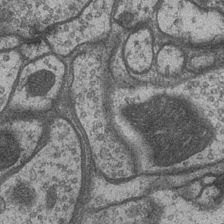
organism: Drosophila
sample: Optic medulla